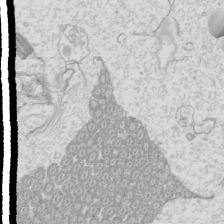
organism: Mouse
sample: Cilia; mouse epididymis